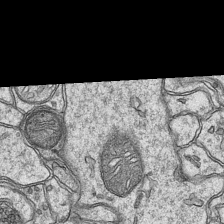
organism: Mouse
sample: CA1 Hippocampus